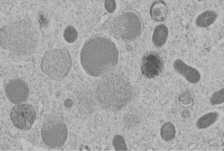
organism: C. elegans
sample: C. elegans embryo early stage